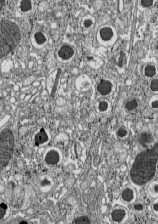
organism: C57BL Mouse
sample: Pancreatic islet